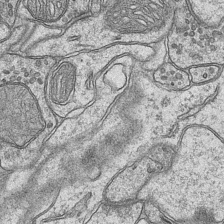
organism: Mouse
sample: CA1 Hippocampus